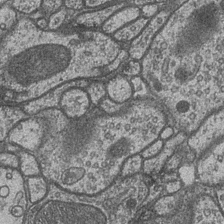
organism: Drosophila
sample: Optic medulla